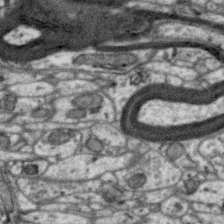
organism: Zebra finch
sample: Brain